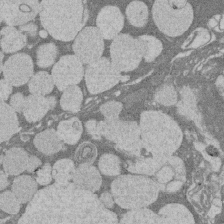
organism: Rat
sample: Salivary granule